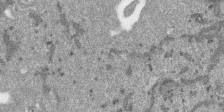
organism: Human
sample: Lung epithelial cells infected with SARS-CoV-2